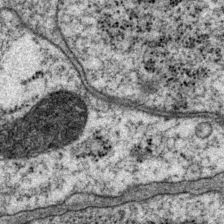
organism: P. pacificus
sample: Pharynx